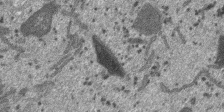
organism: Human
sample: Lung epithelial cells infected with SARS-CoV-2